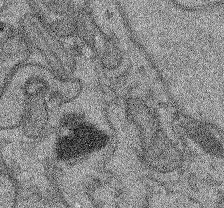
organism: Human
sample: HeLa cells